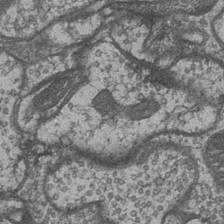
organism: Drosophila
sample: Optic medulla